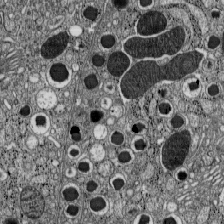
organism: C57BL Mouse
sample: Pancreatic islet